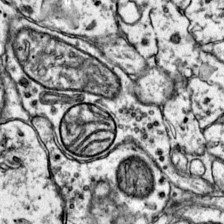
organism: Mouse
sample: Primary visual cortex